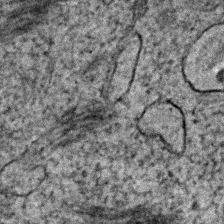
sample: Trachea